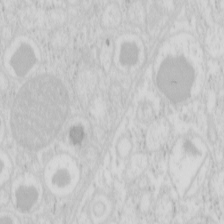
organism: Mouse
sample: Pancreas